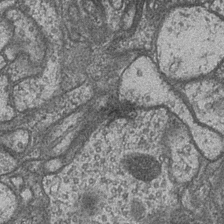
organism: Drosophila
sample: Optic medulla